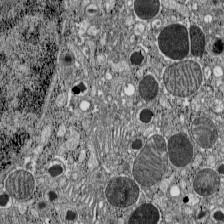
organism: C57BL Mouse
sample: Pancreatic islet